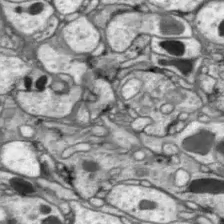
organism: Drosophila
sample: Optic lobe